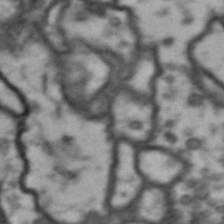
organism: Drosophila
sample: Brain